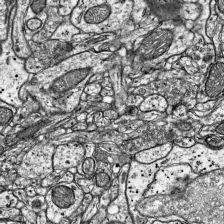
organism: Mouse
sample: Visual Cortex